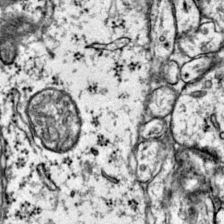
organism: Mouse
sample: Primary visual cortex